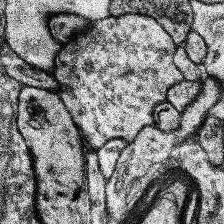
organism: Human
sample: Temporal Lobe